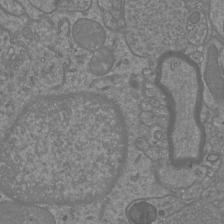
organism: Mouse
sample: Cortical neurons